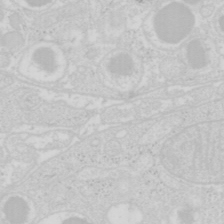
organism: Mouse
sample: Pancreas